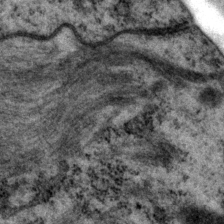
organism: P. pacificus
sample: Pharynx